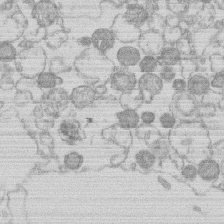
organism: Human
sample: Macrophage cells